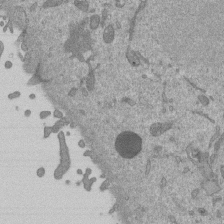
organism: Mouse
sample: ED-1 cell nuclei; centrioles